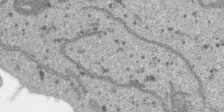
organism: Human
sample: Lung epithelial cells infected with SARS-CoV-2